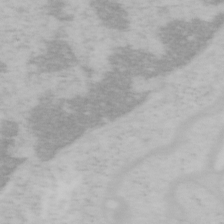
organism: Mouse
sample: OT-I killer T cells with ID8 ovarian cancer cells